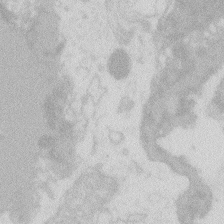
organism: Zebrafish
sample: Macrophage